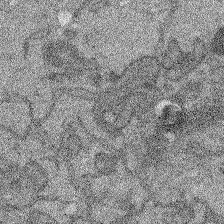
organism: Human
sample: HeLa cells